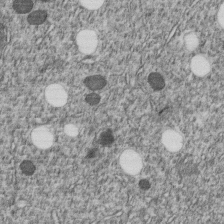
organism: C. elegans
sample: C. elegans embryo early stage